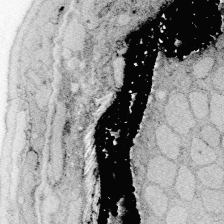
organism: Zebrafish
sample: Whole-Brain